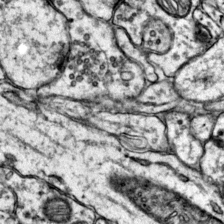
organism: Mouse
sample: Primary visual cortex